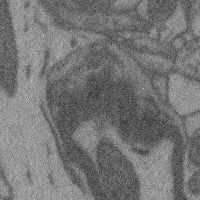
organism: Mouse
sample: Cerebral cortex